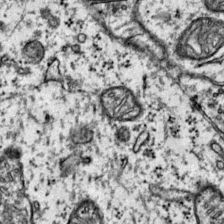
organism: Mouse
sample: Primary visual cortex